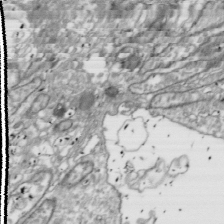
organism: Drosophila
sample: Cell division; meiosis; drosophila spermatocytes